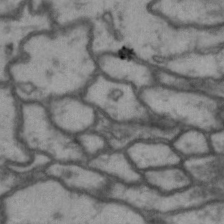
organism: Drosophila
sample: Brain